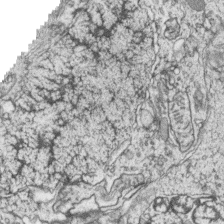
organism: Zebrafish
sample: synaptic ribbons in rod cells and cone cells